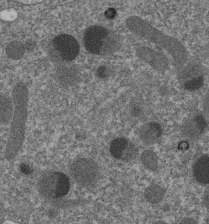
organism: C. elegans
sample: C. elegans embryo early stage